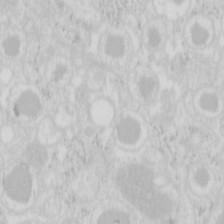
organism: Mouse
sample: Pancreas